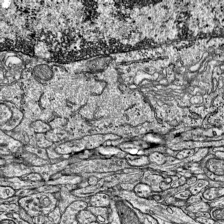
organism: Mouse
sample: Visual Cortex